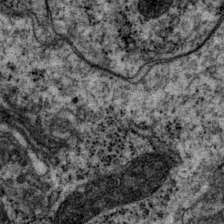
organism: P. pacificus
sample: Pharynx